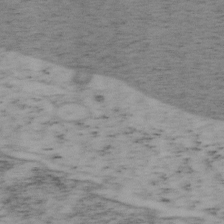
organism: Mouse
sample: OT-I killer T cells with ID8 ovarian cancer cells